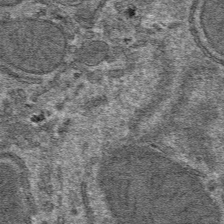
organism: Mouse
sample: Mouse hepatocytes